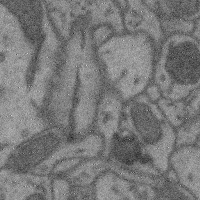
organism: Mouse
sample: Cerebral cortex